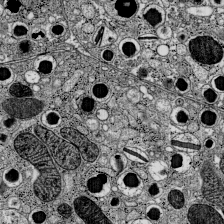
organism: C57BL Mouse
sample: Pancreatic islet